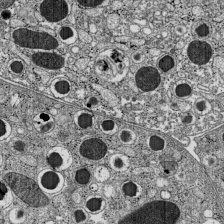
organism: C57BL Mouse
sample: Pancreatic islet